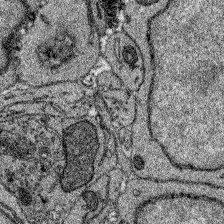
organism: Zebrafish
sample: Larval olfactory bulb